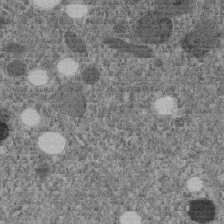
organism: C. elegans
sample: C. elegans embryo early stage